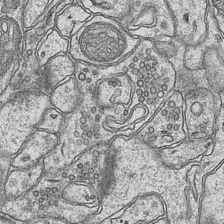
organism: Mouse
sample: CA1 Hippocampus